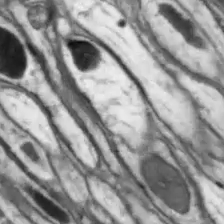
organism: Drosophila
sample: Optic lobe